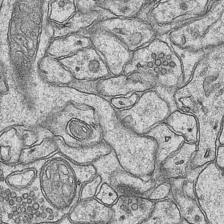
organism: Mouse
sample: CA1 Hippocampus